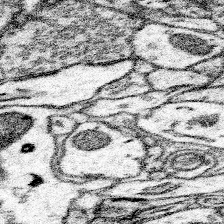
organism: Mouse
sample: Somatosensory cortex neuropil